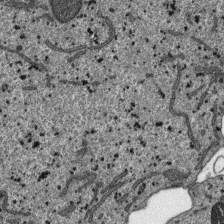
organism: Human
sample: Lung epithelial cells infected with SARS-CoV-2